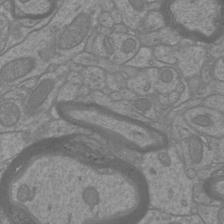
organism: Mouse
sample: Cortical neurons